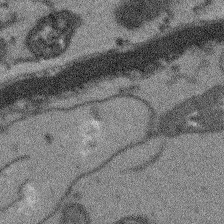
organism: Arabidopsis thaliana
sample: Root tip